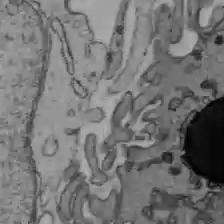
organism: C57BL Mouse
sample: Liver